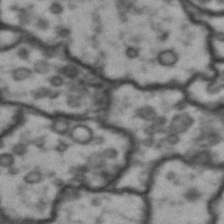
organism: Drosophila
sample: Brain